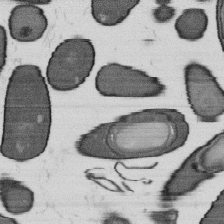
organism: B. subtilis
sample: Bacterial spore